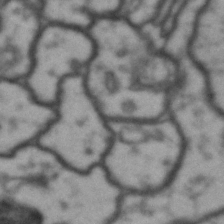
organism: Drosophila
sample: Brain